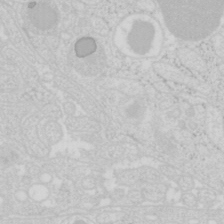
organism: Mouse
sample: Pancreas